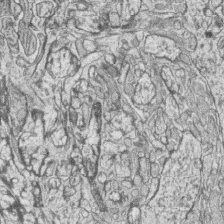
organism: Zebrafish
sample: synaptic ribbons in rod cells and cone cells